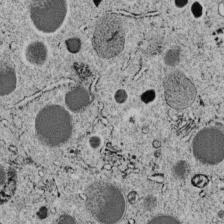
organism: C. elegans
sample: C. elegans embryo early stage